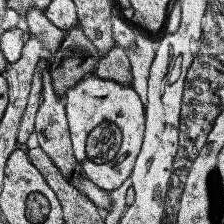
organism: Human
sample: Temporal Lobe